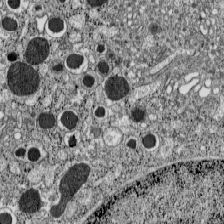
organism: C57BL Mouse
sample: Pancreatic islet